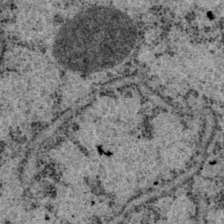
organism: P. pacificus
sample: Pharynx